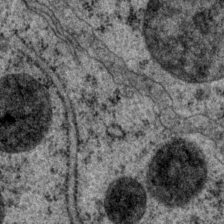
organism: P. pacificus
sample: Pharynx